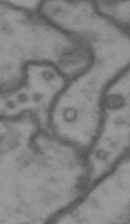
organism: Drosophila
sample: Brain